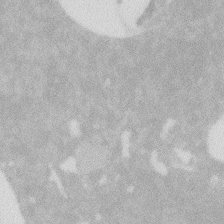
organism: Zebrafish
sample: Macrophage